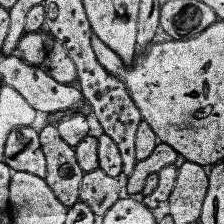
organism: Human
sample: Temporal Lobe